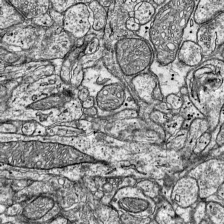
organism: Mouse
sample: Visual Cortex